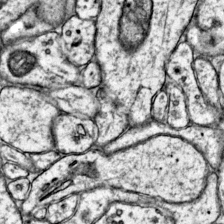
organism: Mouse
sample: Primary visual cortex